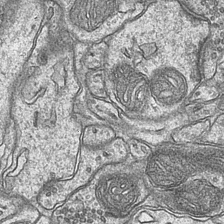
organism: Mouse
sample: CA1 Hippocampus